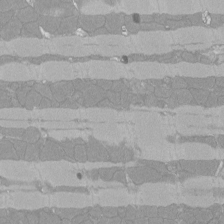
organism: Rat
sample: Left ventricle